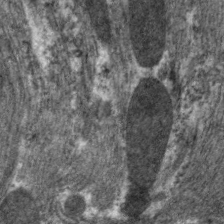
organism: C. elegans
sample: Pharynx